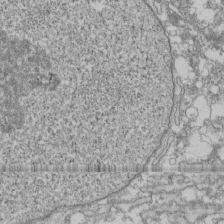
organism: Human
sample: Fibroblast cells